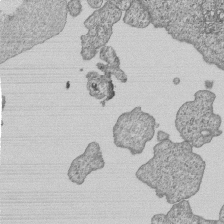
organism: Human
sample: MDA-MB-231 cells